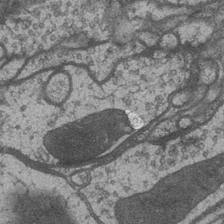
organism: Drosophila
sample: Optic medulla